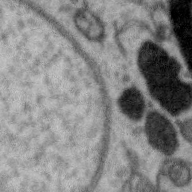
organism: Zebra finch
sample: Brain